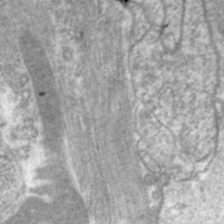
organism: C. elegans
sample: Pharynx